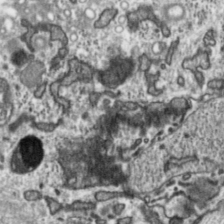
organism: Toxoplasma gondii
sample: Parasites in a vacuole inside a host cell